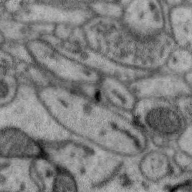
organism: Zebra finch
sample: Brain